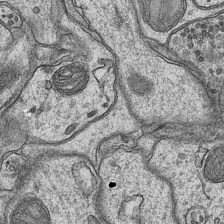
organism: Mouse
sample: CA1 Hippocampus